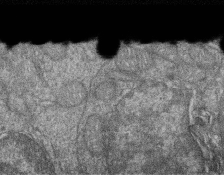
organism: Zebrafish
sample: Cilia; retinal pigment epithelium